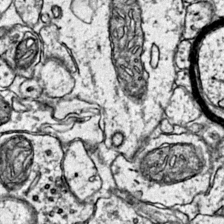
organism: Mouse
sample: Primary visual cortex